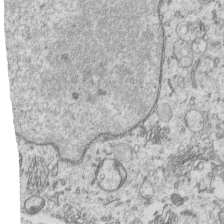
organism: Human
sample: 1205lu cells